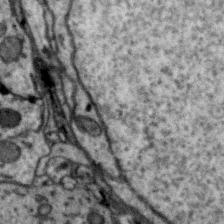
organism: Zebra finch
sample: Brain